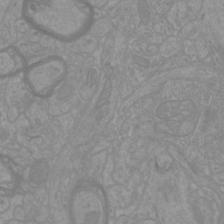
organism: Mouse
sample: Cortical neurons